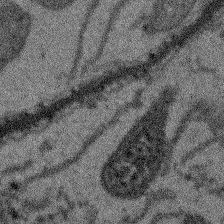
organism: Arabidopsis thaliana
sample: Root tip